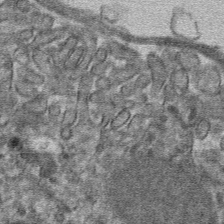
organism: Mouse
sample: Mouse hepatocytes